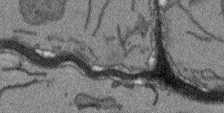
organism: Arabidopsis thaliana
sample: Root tip